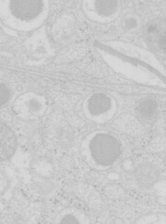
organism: Mouse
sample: Pancreas